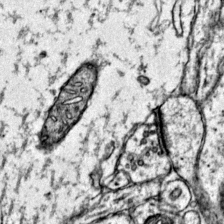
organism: Mouse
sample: Primary visual cortex